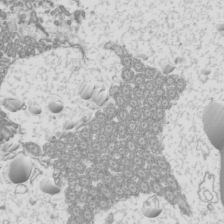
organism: Mouse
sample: Cilia; mouse epididymis